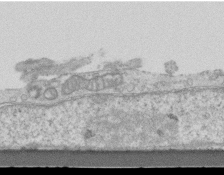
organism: Mouse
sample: Centriole in ependymal cells